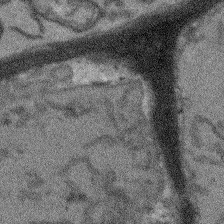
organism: Arabidopsis thaliana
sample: Root tip